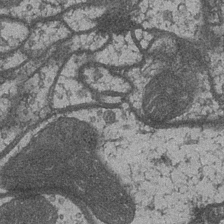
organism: Drosophila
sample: Optic medulla